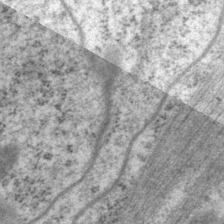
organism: P. pacificus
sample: Pharynx